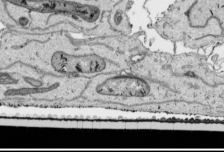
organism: Human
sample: Mitochondria in HCT116 cells